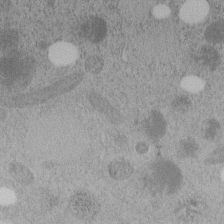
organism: C. elegans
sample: C. elegans embryo early stage